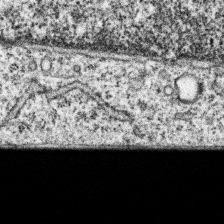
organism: Human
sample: HeLa cells